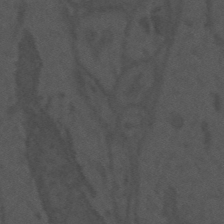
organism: Mouse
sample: Suprachiasmatic nucleus